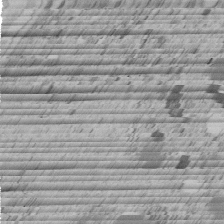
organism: C. elegans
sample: C. elegans embryo early stage